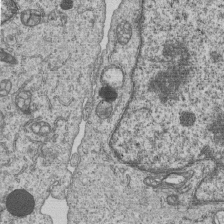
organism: Human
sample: MDA-MB-231 cells